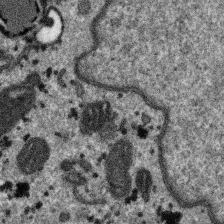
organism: Human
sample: Lung epithelial cells infected with SARS-CoV-2